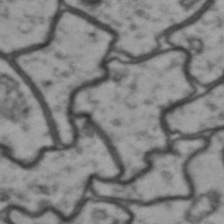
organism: Drosophila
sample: Brain